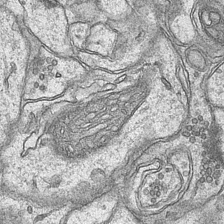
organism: Mouse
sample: CA1 Hippocampus